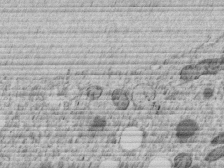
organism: C. elegans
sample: C. elegans embryo early stage